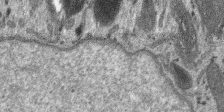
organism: Human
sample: Lung epithelial cells infected with SARS-CoV-2